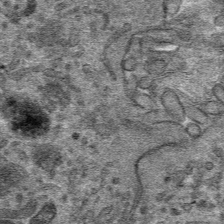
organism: Mouse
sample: Mouse hepatocytes